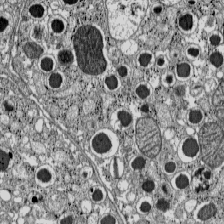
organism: C57BL Mouse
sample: Pancreatic islet